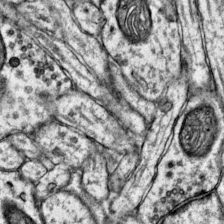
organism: Mouse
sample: Primary visual cortex